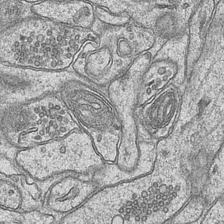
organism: Mouse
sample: CA1 Hippocampus